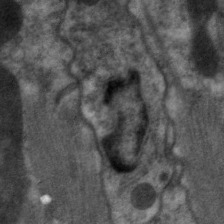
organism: C. elegans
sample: Pharynx